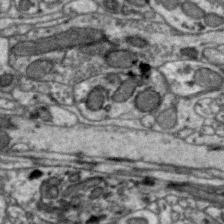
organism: Zebra finch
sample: Brain